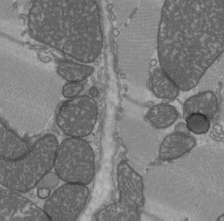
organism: C57BL Mouse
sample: Heart